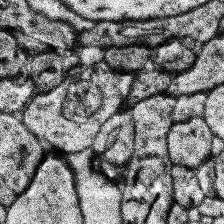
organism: Human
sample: Temporal Lobe